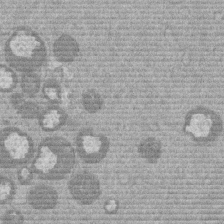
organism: Mouse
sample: Dividing mouse embryo 1 cell stage